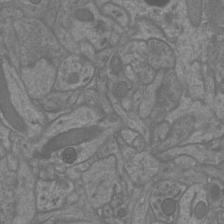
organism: Mouse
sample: Cortical neurons